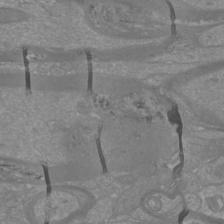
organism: Mouse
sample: Cortical neurons